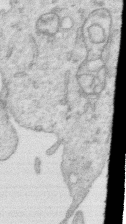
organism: Human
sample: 1205lu cells